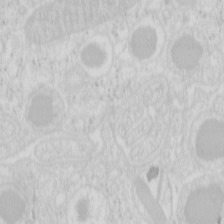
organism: Mouse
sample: Pancreas